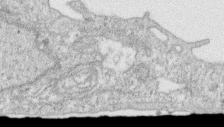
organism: Human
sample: HeLa cell HIV synapse